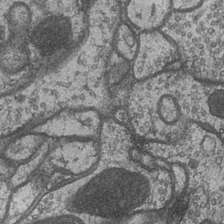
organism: Drosophila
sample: Optic medulla